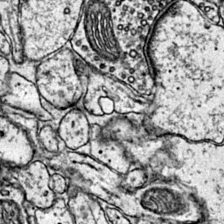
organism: Mouse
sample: Primary visual cortex